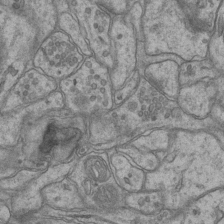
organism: Mouse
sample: CA1 Hippocampus